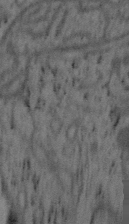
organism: Human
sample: HeLa cells